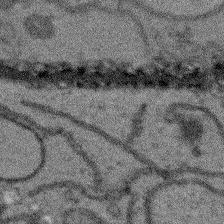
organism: Arabidopsis thaliana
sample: Root tip